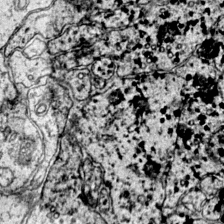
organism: Mouse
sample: Primary visual cortex